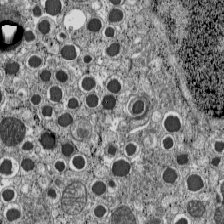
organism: C57BL Mouse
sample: Pancreatic islet